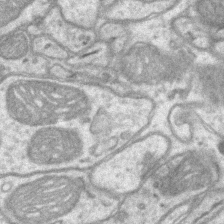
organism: Mouse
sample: CA1 Hippocampus